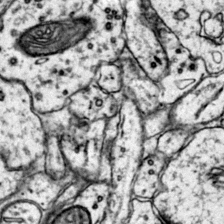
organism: Mouse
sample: Primary visual cortex